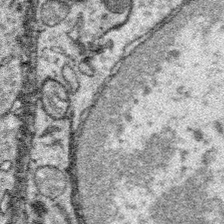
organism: Platynereis dumerilii